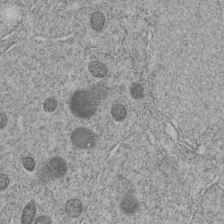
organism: C. elegans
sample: C. elegans embryo early stage